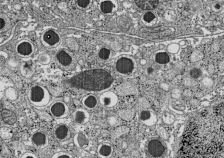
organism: C57BL Mouse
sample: Pancreatic islet